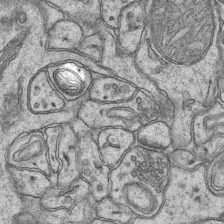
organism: Mouse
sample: CA1 Hippocampus